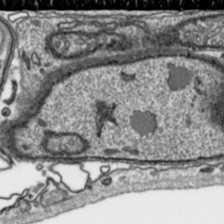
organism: Toxoplasma gondii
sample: Parasites in a vacuole inside a host cell